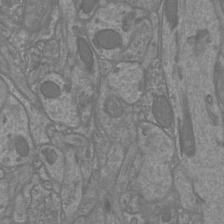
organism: Mouse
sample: Cortical neurons